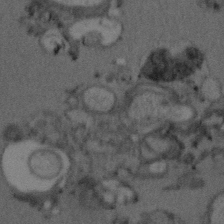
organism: Human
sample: HeLa cells